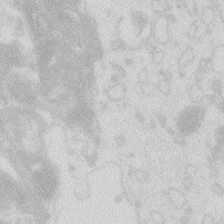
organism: Zebrafish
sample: Macrophage